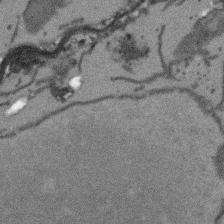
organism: Arabidopsis thaliana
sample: Root tip